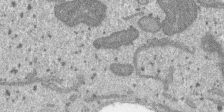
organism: Human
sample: Lung epithelial cells infected with SARS-CoV-2